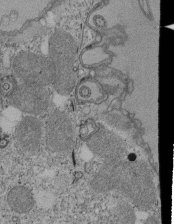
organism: Tetrahymena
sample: Cilia in tetrahymena